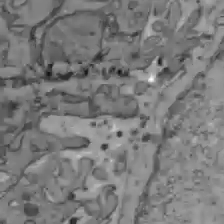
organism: C57BL Mouse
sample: Liver